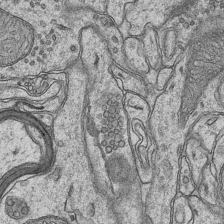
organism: Mouse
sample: CA1 Hippocampus